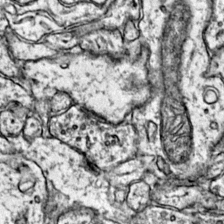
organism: Mouse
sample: Primary visual cortex